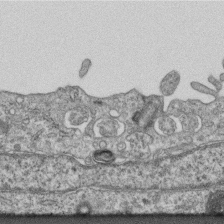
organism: Mouse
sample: Centriole in ependymal cells